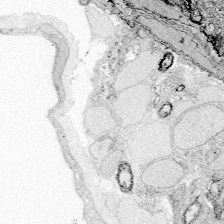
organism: Zebrafish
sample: Whole-Brain